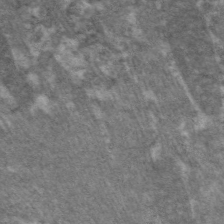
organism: C. elegans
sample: Pharynx